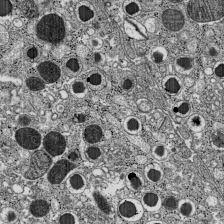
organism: C57BL Mouse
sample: Pancreatic islet